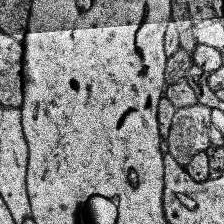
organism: Human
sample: Temporal Lobe